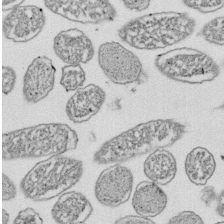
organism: E. coli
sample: Bacterial nucleoid